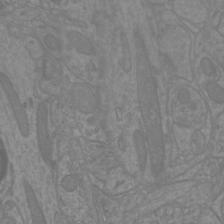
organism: Mouse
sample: Cortical neurons